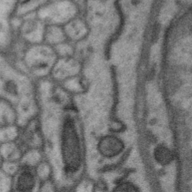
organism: Zebra finch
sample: Brain